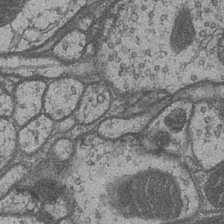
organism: Drosophila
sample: Optic medulla